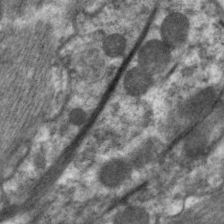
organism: C. elegans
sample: Pharynx